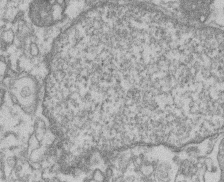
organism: Mouse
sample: T cell stromal cell synapse